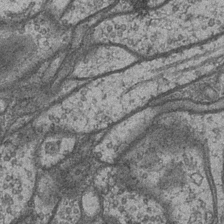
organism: Drosophila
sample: Optic medulla